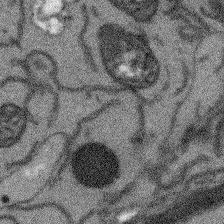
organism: Arabidopsis thaliana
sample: Root tip